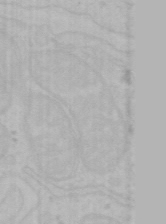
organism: Mouse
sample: Choroid plexus